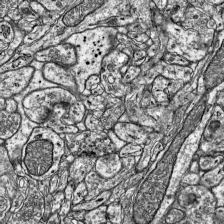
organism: Mouse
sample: Visual Cortex